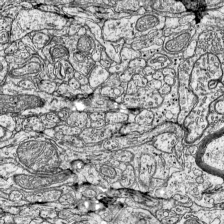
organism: Mouse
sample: Visual Cortex